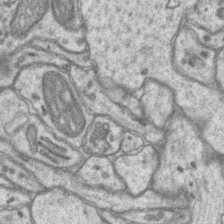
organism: Mouse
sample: CA1 Hippocampus